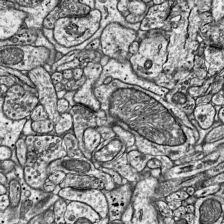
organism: Mouse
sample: Visual Cortex